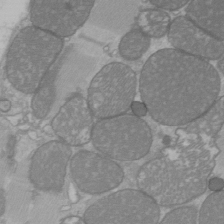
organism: C57BL Mouse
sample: Heart